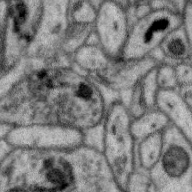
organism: Zebra finch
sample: Brain